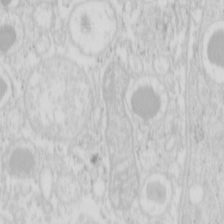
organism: Mouse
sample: Pancreas